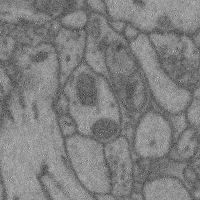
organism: Mouse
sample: Cerebral cortex